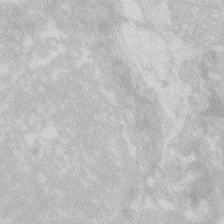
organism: Zebrafish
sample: Macrophage